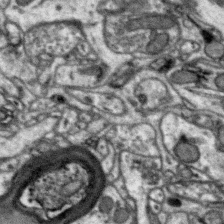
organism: Zebra finch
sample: Brain